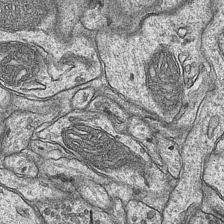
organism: Mouse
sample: CA1 Hippocampus